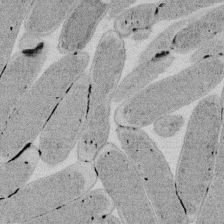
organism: E. coli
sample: Bacterial nucleoid